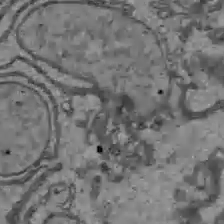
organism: C57BL Mouse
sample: Liver